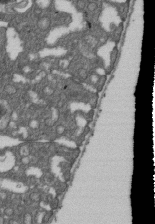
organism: Drosophila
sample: Nephrocyte